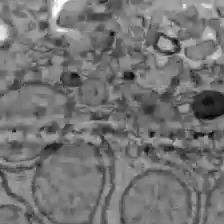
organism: C57BL Mouse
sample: Liver